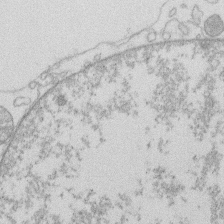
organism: Human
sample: Macrophage cells